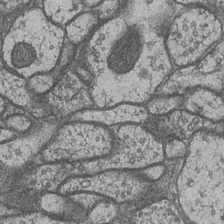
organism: Drosophila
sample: Optic medulla